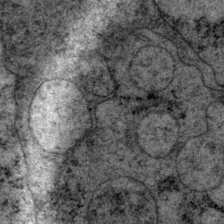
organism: P. pacificus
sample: Pharynx